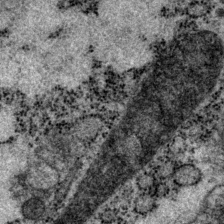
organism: P. pacificus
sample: Pharynx